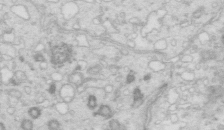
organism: Mouse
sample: Multiciliated cells